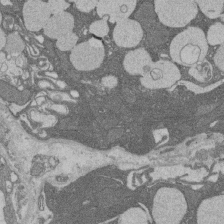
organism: Rat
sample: Salivary granule